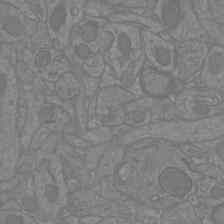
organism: Mouse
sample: Cortical neurons